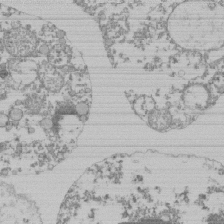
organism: Mouse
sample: Activated Pmel transgenic CD8+ T Cells